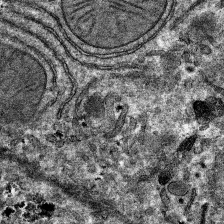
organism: Mouse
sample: Mouse hepatocytes